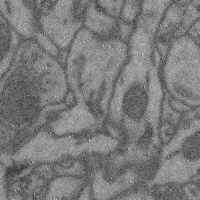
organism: Mouse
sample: Cerebral cortex